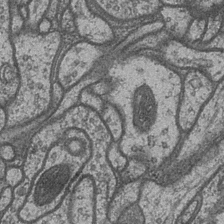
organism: Drosophila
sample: Optic medulla